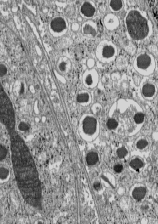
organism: C57BL Mouse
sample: Pancreatic islet